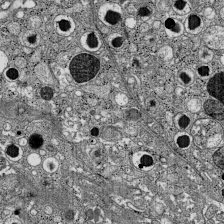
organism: C57BL Mouse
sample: Pancreatic islet